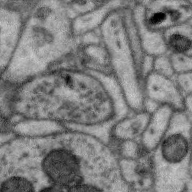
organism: Zebra finch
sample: Brain